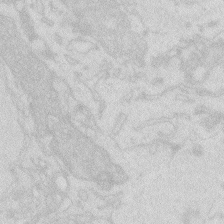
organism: Zebrafish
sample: Macrophage